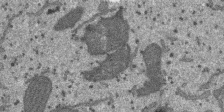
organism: Human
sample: Lung epithelial cells infected with SARS-CoV-2